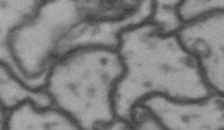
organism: Drosophila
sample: Brain